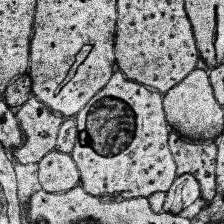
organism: Human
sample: Temporal Lobe